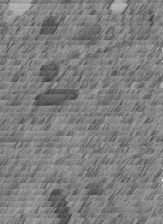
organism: C. elegans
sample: C. elegans embryo early stage